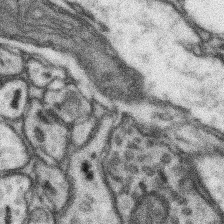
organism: Mouse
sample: Somatosensory cortex neuropil